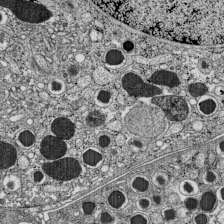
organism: C57BL Mouse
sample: Pancreatic islet